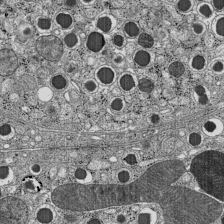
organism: C57BL Mouse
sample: Pancreatic islet